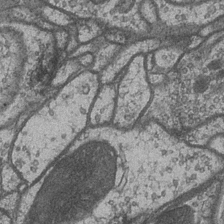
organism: Drosophila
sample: Optic medulla